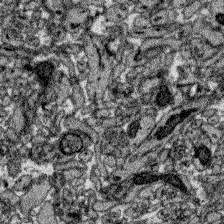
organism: Zebrafish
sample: Larval olfactory bulb